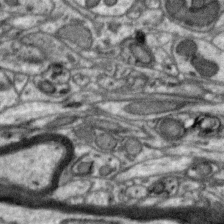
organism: Zebra finch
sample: Brain